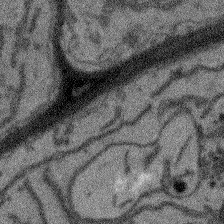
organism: Arabidopsis thaliana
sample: Root tip